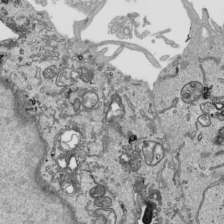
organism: Human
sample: Mitochondria in HCT116 cells